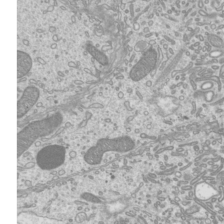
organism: Mouse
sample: Cilia; mouse epididymis